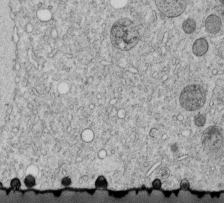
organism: C. elegans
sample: C. elegans embryo early stage